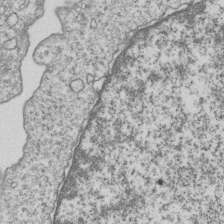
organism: Human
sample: MDA-MB-231 cells